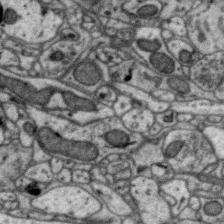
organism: Zebra finch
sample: Brain